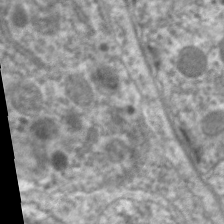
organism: C. elegans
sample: Pharynx